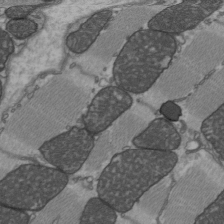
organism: C57BL Mouse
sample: Heart